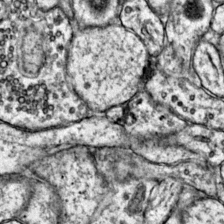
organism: Mouse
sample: Primary visual cortex